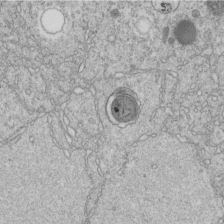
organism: C. elegans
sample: C. elegans embryo early stage